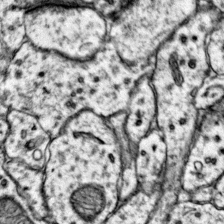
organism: Mouse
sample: Primary visual cortex